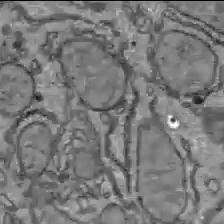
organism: C57BL Mouse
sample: Liver